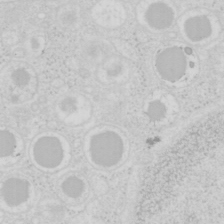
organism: Mouse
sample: Pancreas